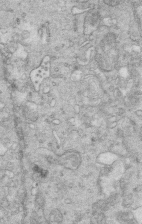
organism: Mouse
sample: Multiciliated cells